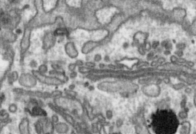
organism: Toxoplasma gondii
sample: Parasites in a vacuole inside a host cell